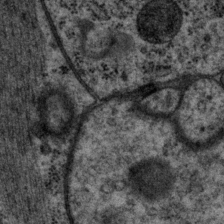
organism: P. pacificus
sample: Pharynx